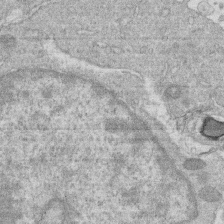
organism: Human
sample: Macrophage cells